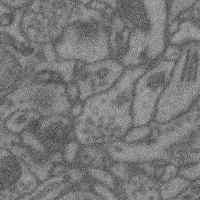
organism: Mouse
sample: Cerebral cortex